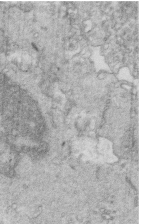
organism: Mouse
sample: Multiciliated cells